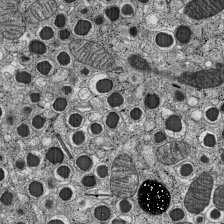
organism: C57BL Mouse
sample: Pancreatic islet